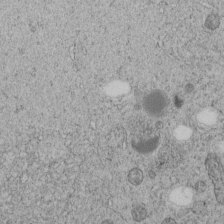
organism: C. elegans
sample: C. elegans embryo early stage